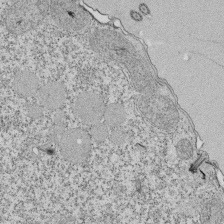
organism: Tetrahymena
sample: Cilia in tetrahymena